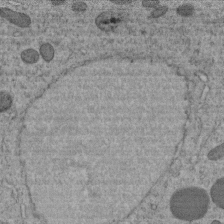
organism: C. elegans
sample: C. elegans embryo early stage